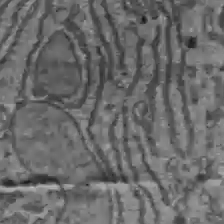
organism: C57BL Mouse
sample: Liver